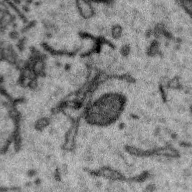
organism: Zebra finch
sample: Brain